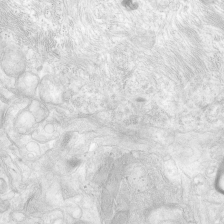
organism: Human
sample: Neocortex